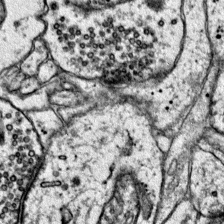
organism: Mouse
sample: Primary visual cortex